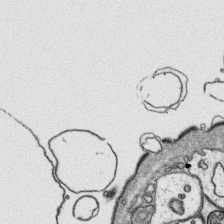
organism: Platynereis dumerilii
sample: Parapodia